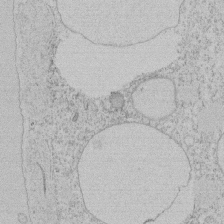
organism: Tetrahymena